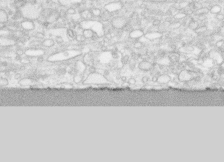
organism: Human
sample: CRL-1474